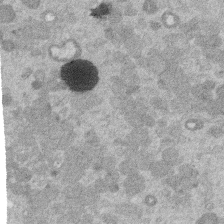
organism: Mouse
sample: Dividing mouse embryo 1 cell stage